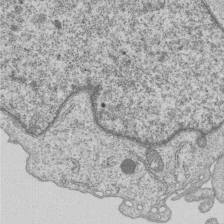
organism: Human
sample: MDA-MB-231 cells